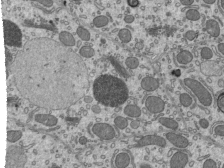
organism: Mouse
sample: Mouse epididymis efferent ductule cilia